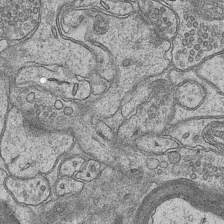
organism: Mouse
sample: CA1 Hippocampus